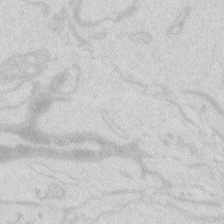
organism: Zebrafish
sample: Macrophage